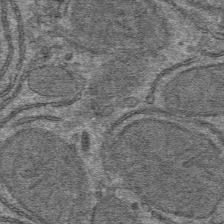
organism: Mouse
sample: Mouse hepatocytes